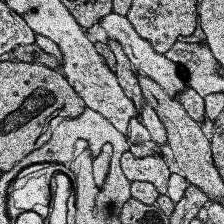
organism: Human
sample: Temporal Lobe